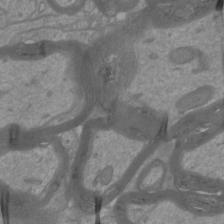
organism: Mouse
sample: Cortical neurons